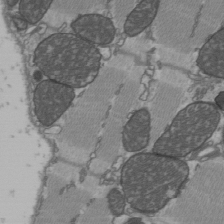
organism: C57BL Mouse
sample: Heart